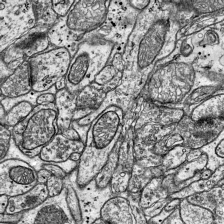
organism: Mouse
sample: Visual Cortex